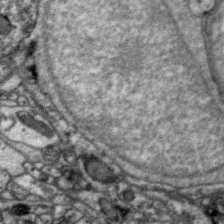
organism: Zebra finch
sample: Brain